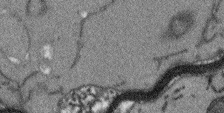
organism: Arabidopsis thaliana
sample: Root tip